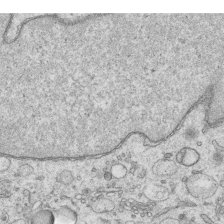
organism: Human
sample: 1205lu cells